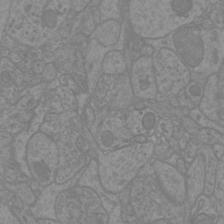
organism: Mouse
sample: Cortical neurons